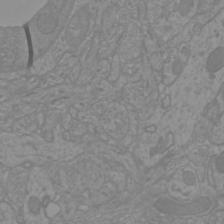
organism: Mouse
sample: Cortical neurons